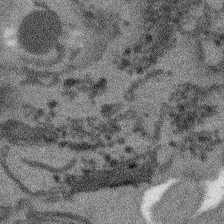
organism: Arabidopsis thaliana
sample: Root tip